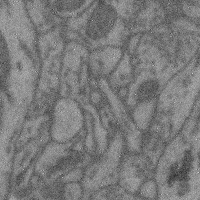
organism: Mouse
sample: Cerebral cortex